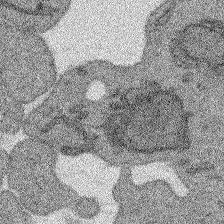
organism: Human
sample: HeLa cells